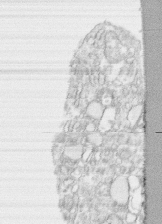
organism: Human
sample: CRL-1474